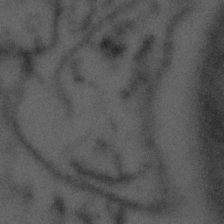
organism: Tuwongella immobilis